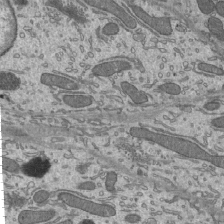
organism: Mouse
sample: Mouse epididymis efferent ductule cilia